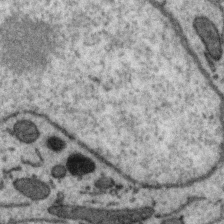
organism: Zebra finch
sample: Brain